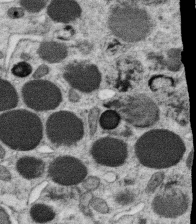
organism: C. elegans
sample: C. elegans oocyte; sperm cells